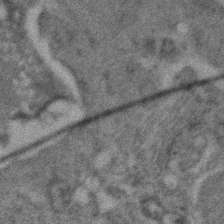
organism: Zebrafish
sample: Zebrafish embryo